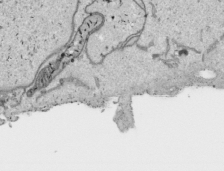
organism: Human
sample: Mitochondria in HCT116 cells